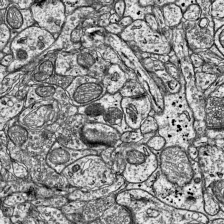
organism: Mouse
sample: Visual Cortex